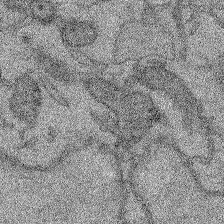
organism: Human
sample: HeLa cells